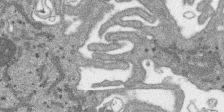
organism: Human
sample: Lung epithelial cells infected with SARS-CoV-2